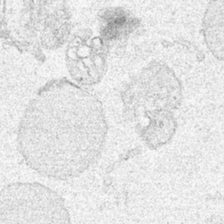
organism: Human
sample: Mitochondria in HCT116 cells